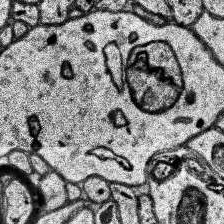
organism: Human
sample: Temporal Lobe